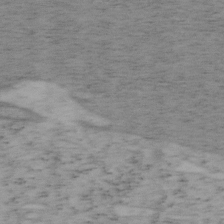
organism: Mouse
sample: OT-I killer T cells with ID8 ovarian cancer cells